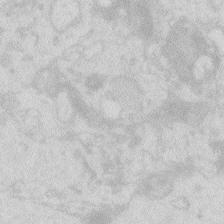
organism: Zebrafish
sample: Macrophage